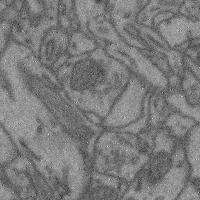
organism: Mouse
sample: Cerebral cortex